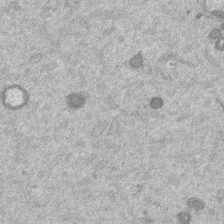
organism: Mouse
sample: Dividing mouse embryo 1 cell stage